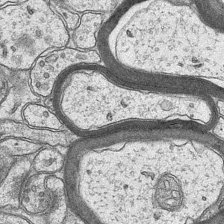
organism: Mouse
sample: CA1 Hippocampus